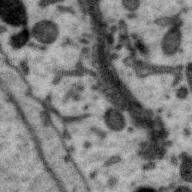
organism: Zebra finch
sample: Brain